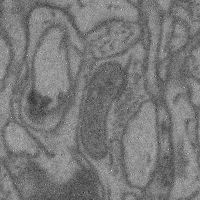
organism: Mouse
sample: Cerebral cortex